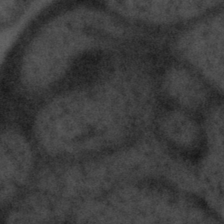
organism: Tuwongella immobilis